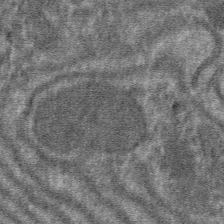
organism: Mouse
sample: Mouse hepatocytes